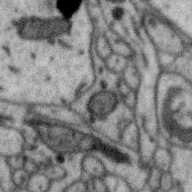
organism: Zebra finch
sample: Brain